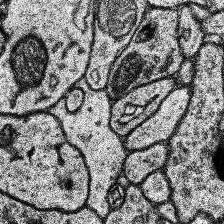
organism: Human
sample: Temporal Lobe